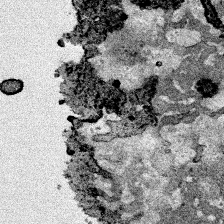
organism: Human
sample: Mitochondria in HCT116 cells